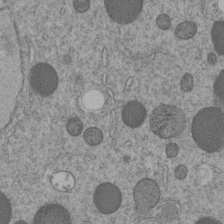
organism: C. elegans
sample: C. elegans embryo early stage